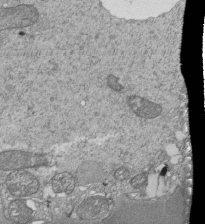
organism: Tetrahymena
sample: Cilia in tetrahymena